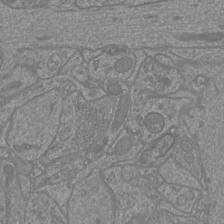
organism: Mouse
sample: Cortical neurons